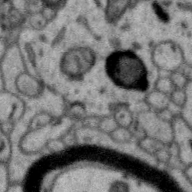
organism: Zebra finch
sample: Brain